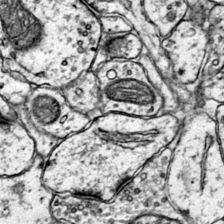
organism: Mouse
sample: Primary visual cortex